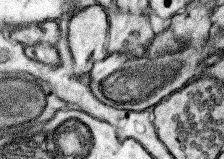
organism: Mouse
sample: Somatosensory cortex neuropil